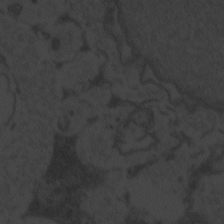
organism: Zebrafish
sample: Macrophage infected with Toxoplasma gondii